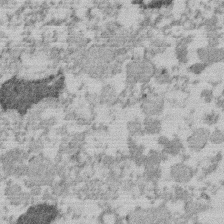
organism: Mouse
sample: Dividing mouse embryo 1 cell stage